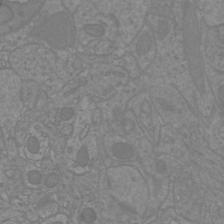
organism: Mouse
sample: Cortical neurons